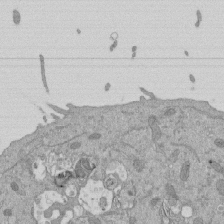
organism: Mouse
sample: ED-1 cell nuclei; centrioles